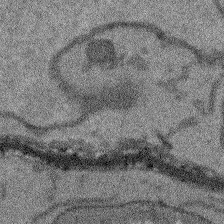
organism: Arabidopsis thaliana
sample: Root tip